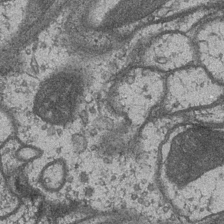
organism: Drosophila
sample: Optic medulla